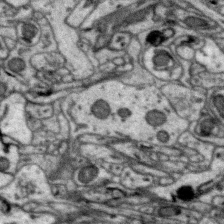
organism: Zebra finch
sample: Brain